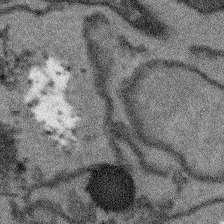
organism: Arabidopsis thaliana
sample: Root tip